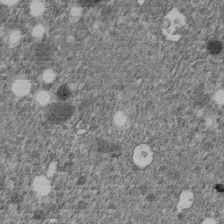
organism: C. elegans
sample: C. elegans embryo early stage